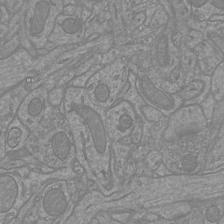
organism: Mouse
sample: Cortical neurons